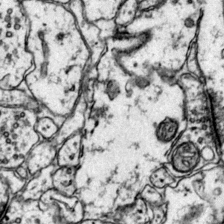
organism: Mouse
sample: Primary visual cortex